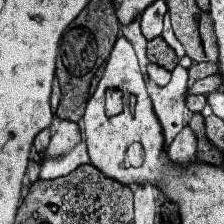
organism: Human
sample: Temporal Lobe